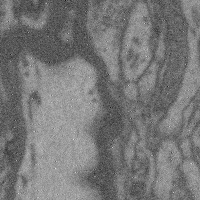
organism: Mouse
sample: Cerebral cortex